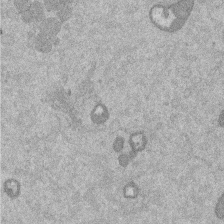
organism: Mouse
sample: Dividing mouse embryo 1 cell stage